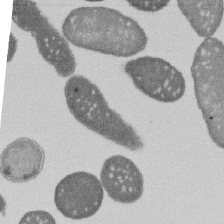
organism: E. coli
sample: Bacterial nucleoid